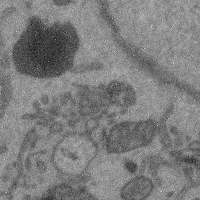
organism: Mouse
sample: Cerebral cortex